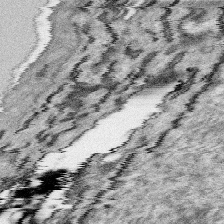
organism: Human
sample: HeLa cells